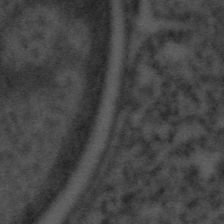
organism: Tuwongella immobilis